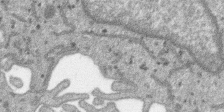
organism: Human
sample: Lung epithelial cells infected with SARS-CoV-2